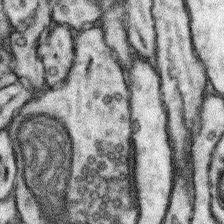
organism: Mouse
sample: Somatosensory cortex neuropil